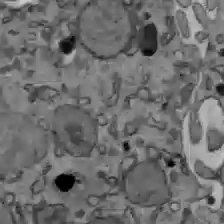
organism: C57BL Mouse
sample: Liver